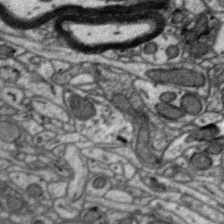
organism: Zebra finch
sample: Brain